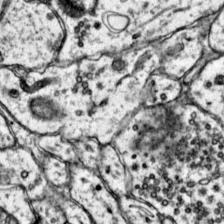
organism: Mouse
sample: Primary visual cortex